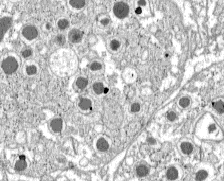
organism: C57BL Mouse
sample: Pancreatic islet